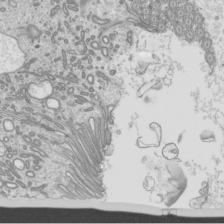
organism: Mouse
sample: Cilia; mouse epididymis